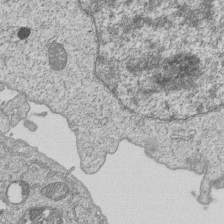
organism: Human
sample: MDA-MB-231 cells